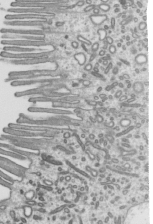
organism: Mouse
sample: Mouse epididymis efferent ductule cilia